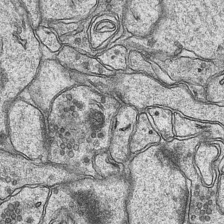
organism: Mouse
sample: CA1 Hippocampus